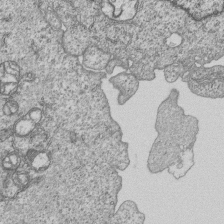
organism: Human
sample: MDA-MB-231 cells